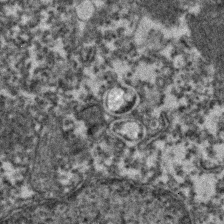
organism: Zebrafish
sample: Zebrafish embryo